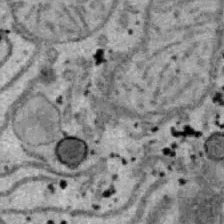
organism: Mouse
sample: Liver from an obese (ob/ob) mouse